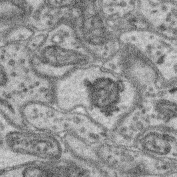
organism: Mouse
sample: Retina